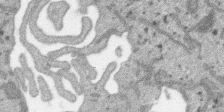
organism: Human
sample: Lung epithelial cells infected with SARS-CoV-2